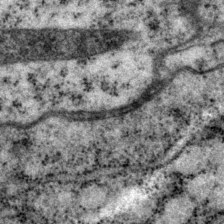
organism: P. pacificus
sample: Pharynx